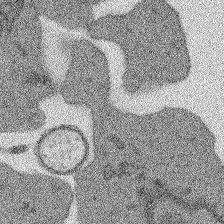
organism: Human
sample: HeLa cells